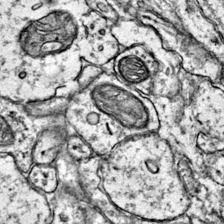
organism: Mouse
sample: Primary visual cortex